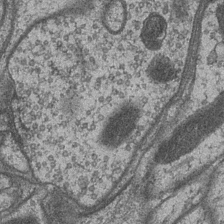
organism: Drosophila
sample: Optic medulla